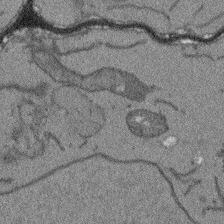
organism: Arabidopsis thaliana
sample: Root tip